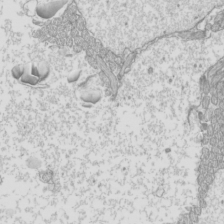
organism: Mouse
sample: Cilia; mouse epididymis